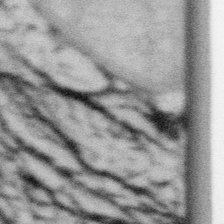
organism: Gemmata obscuriglobus